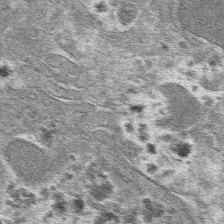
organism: Mouse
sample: Mouse hepatocytes